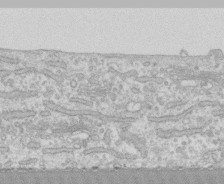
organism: Human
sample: CRL-1474